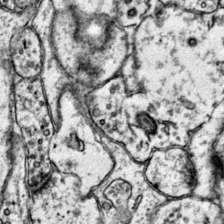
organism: Mouse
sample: Primary visual cortex